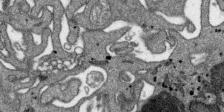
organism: Human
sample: Lung epithelial cells, uninfected (mock) control